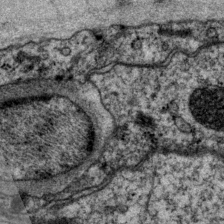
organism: P. pacificus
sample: Pharynx